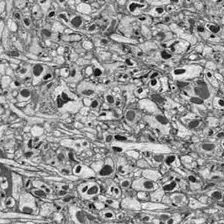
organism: Drosophila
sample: Optic lobe